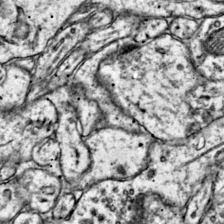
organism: Mouse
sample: Primary visual cortex